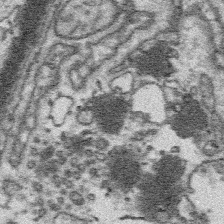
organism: Platynereis dumerilii